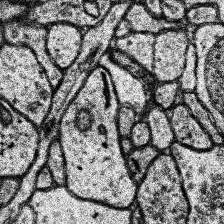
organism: Human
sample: Temporal Lobe